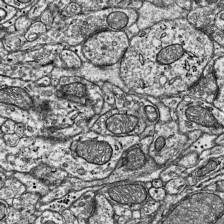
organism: Mouse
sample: Visual Cortex